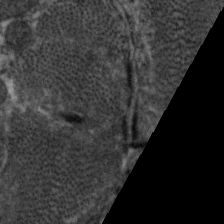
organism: C. elegans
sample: Pharynx